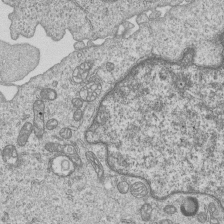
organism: Human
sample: MDA-MB-231 cells